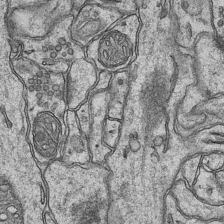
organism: Mouse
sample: CA1 Hippocampus